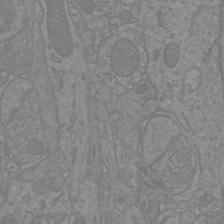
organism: Mouse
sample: Cortical neurons